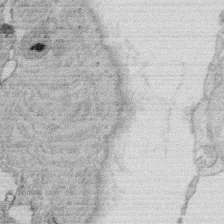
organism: Rat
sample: Salivary granule